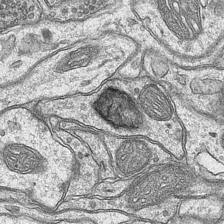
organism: Mouse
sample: CA1 Hippocampus